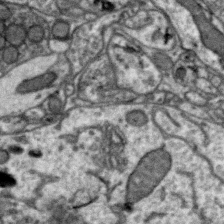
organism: Zebra finch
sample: Brain